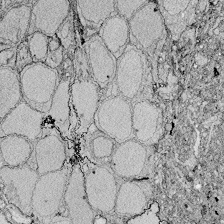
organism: Zebrafish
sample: Whole-Brain